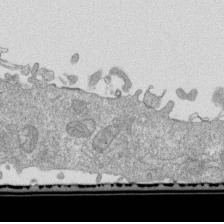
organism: Human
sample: HeLa cell HIV synapse